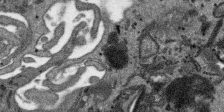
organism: Human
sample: Lung epithelial cells, uninfected (mock) control